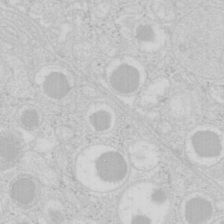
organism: Mouse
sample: Pancreas